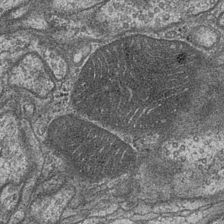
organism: Drosophila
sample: Optic medulla